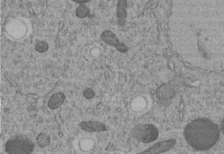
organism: C. elegans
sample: C. elegans embryo early stage